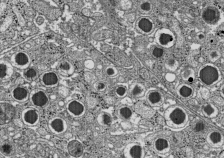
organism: C57BL Mouse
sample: Pancreatic islet